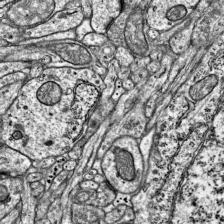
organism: Mouse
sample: Visual Cortex